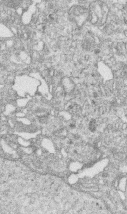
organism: Human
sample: HeLa cell HIV synapse